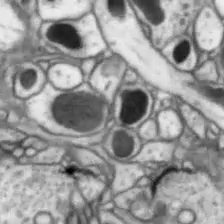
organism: Drosophila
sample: Optic lobe